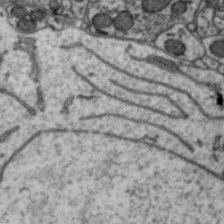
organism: Zebra finch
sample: Brain